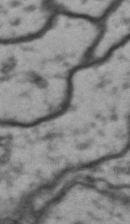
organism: Drosophila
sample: Brain